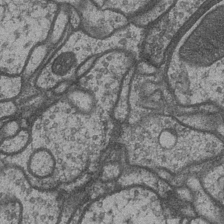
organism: Drosophila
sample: Optic medulla